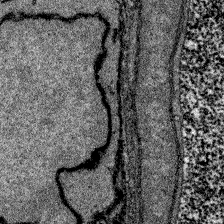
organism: Zebrafish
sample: Larval olfactory bulb